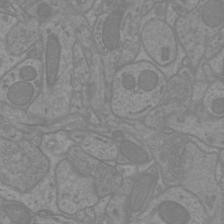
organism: Mouse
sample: Cortical neurons